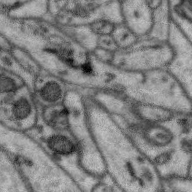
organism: Zebra finch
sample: Brain